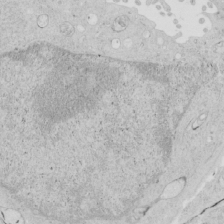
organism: Human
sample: Mitochondria in HCT116 cells